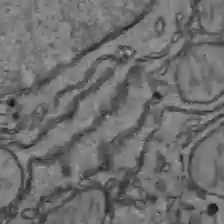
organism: C57BL Mouse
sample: Liver